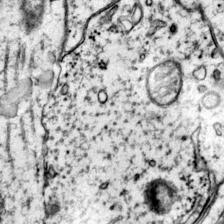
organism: Mouse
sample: Primary visual cortex